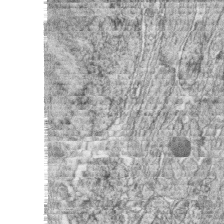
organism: Zebrafish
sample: synaptic ribbons in rod cells and cone cells